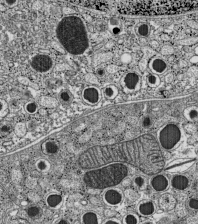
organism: C57BL Mouse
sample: Pancreatic islet